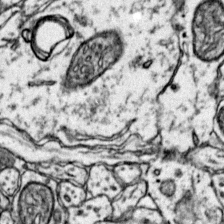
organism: Mouse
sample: Primary visual cortex